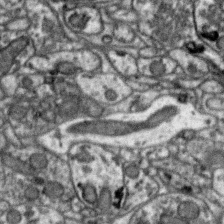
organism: Zebra finch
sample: Brain